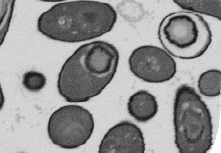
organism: B. subtilis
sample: Bacterial spore